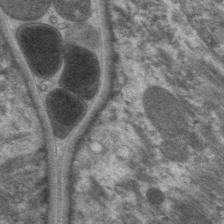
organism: C. elegans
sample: Pharynx